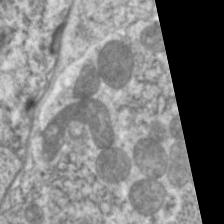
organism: C. elegans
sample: Pharynx